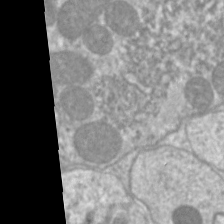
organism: C. elegans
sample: Pharynx